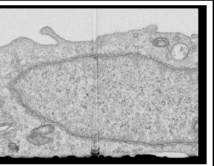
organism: Human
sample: Centriole in RPE cells